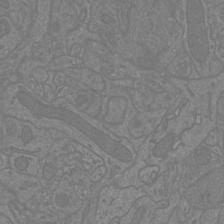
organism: Mouse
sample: Cortical neurons